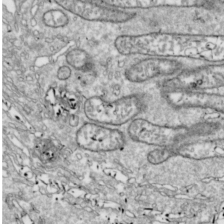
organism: Drosophila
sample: Cell division; meiosis; drosophila spermatocytes